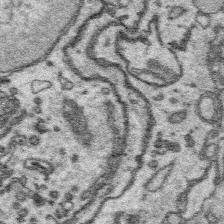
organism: Platynereis dumerilii